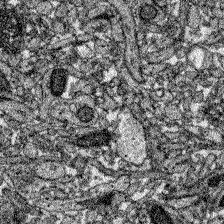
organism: Zebrafish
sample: Larval olfactory bulb